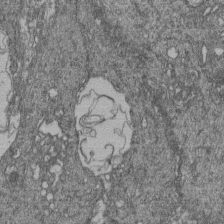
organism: Human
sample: Retinal organoid Rod and Cone cells